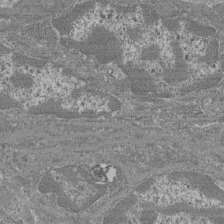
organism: Mouse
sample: Glomerulus